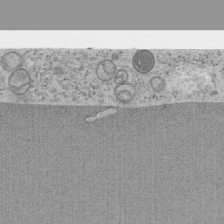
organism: Human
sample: HeLa cells